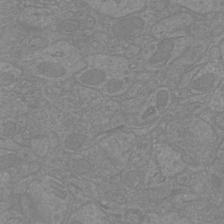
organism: Mouse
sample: Cortical neurons